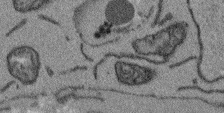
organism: Arabidopsis thaliana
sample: Root tip